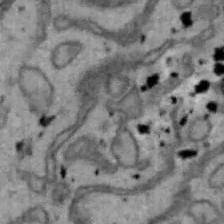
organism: Mouse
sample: Liver